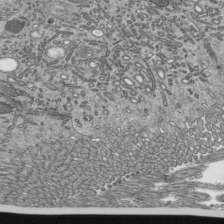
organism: Mouse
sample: Mouse epididymis efferent ductule cilia